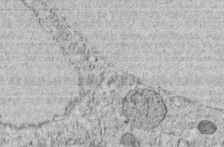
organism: C. elegans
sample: C. elegans embryo early stage